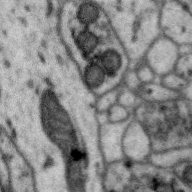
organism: Zebra finch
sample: Brain